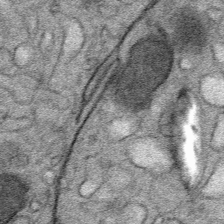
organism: Mouse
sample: Mouse Salivary gland